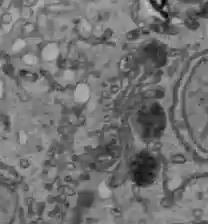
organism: C57BL Mouse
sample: Liver